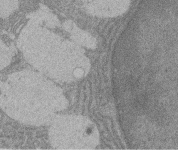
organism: Rat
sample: Salivary granule